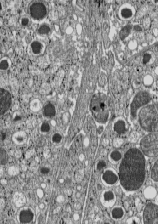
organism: C57BL Mouse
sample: Pancreatic islet